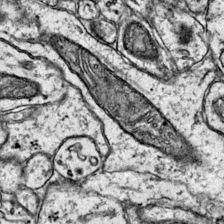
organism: Mouse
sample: Primary visual cortex